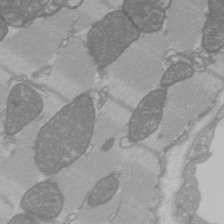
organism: C57BL Mouse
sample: Heart